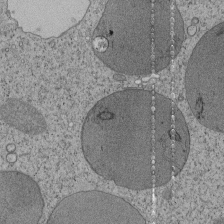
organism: Tetrahymena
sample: Cilia in tetrahymena